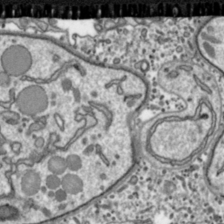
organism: Toxoplasma gondii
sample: Parasites in a vacuole inside a host cell